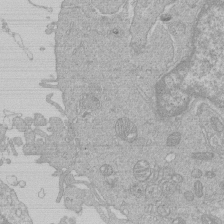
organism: Human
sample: Macrophage cells